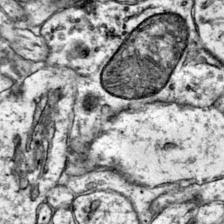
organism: Mouse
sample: Primary visual cortex